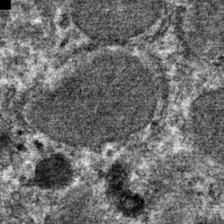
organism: Mouse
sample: Mouse hepatocytes